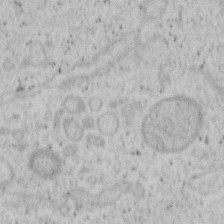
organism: Human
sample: HeLa cells